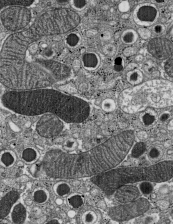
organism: C57BL Mouse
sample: Pancreatic islet